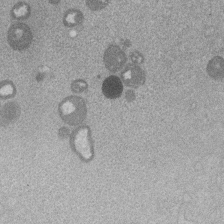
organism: Mouse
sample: Dividing mouse embryo 1 cell stage